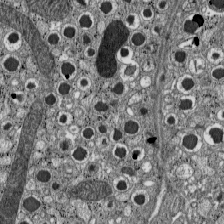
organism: C57BL Mouse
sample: Pancreatic islet